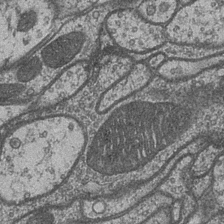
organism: Drosophila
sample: Optic medulla